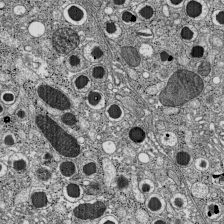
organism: C57BL Mouse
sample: Pancreatic islet